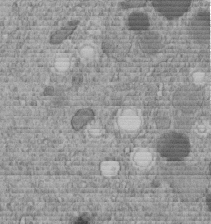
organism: C. elegans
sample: C. elegans embryo early stage